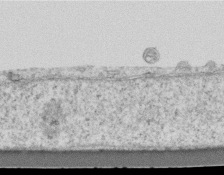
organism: Mouse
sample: Centriole in ependymal cells